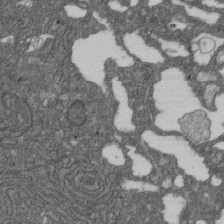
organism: Drosophila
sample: Nephrocyte